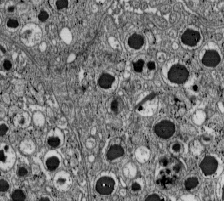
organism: C57BL Mouse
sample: Pancreatic islet